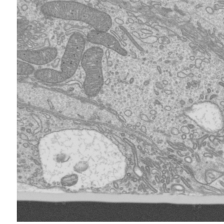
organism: Mouse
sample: Cilia; mouse epididymis